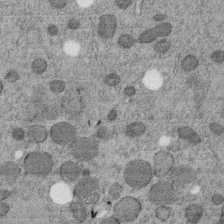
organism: C. elegans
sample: C. elegans embryo early stage